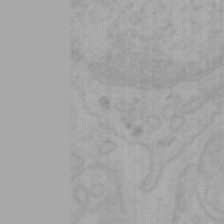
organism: Mouse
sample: Choroid plexus